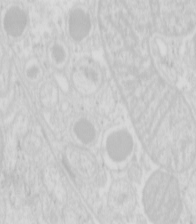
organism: Mouse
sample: Pancreas